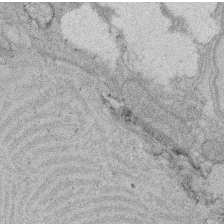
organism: Rat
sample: Salivary granule